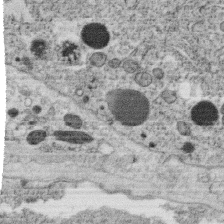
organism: C. elegans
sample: C. elegans oocyte; sperm cells